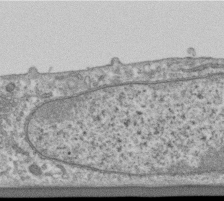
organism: Human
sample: Centriole in RPE cells